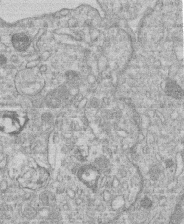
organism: Human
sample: Macrophage cells